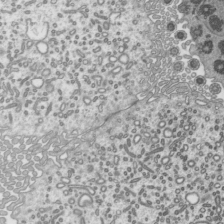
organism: Mouse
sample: Mouse epididymis efferent ductule cilia